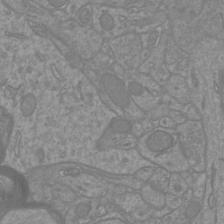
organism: Mouse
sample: Cortical neurons